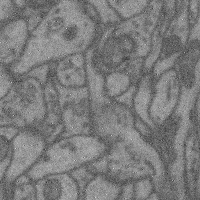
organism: Mouse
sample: Cerebral cortex